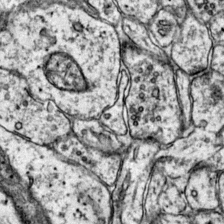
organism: Mouse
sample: Primary visual cortex